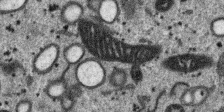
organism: Human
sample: Lung epithelial cells infected with SARS-CoV-2